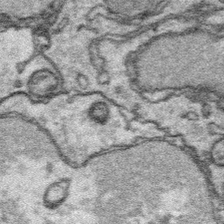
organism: Platynereis dumerilii